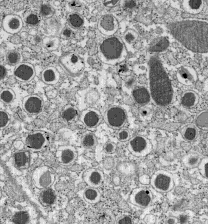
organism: C57BL Mouse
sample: Pancreatic islet